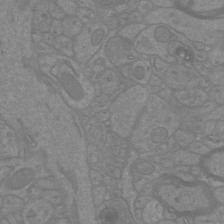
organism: Mouse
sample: Cortical neurons